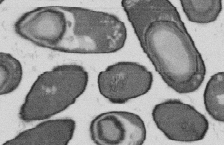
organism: B. subtilis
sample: Bacterial spore